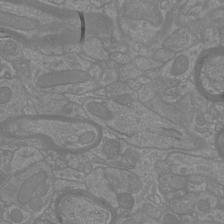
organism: Mouse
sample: Cortical neurons